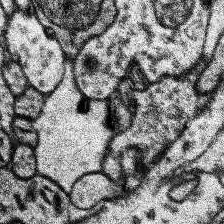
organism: Human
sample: Temporal Lobe